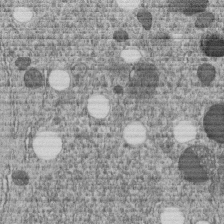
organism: C. elegans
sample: C. elegans embryo early stage